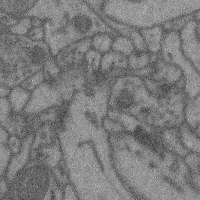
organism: Mouse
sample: Cerebral cortex